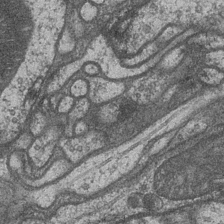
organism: Drosophila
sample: Optic medulla